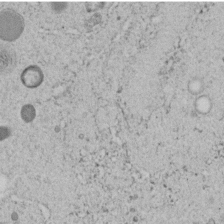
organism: C. elegans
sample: C. elegans embryo early stage